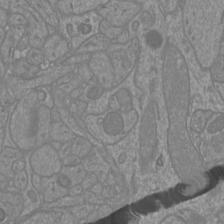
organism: Mouse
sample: Cortical neurons